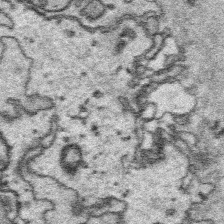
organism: Platynereis dumerilii